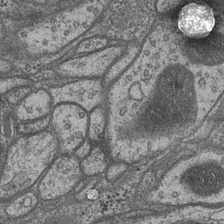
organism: Drosophila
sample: Optic medulla